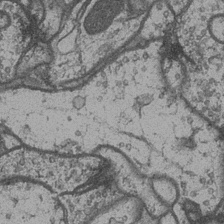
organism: Drosophila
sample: Optic medulla